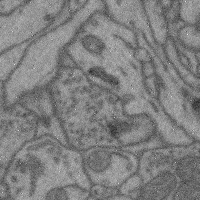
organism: Mouse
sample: Cerebral cortex